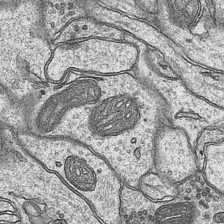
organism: Mouse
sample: CA1 Hippocampus